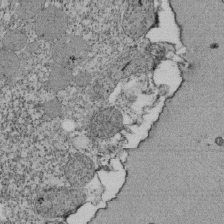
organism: Tetrahymena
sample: Cilia in tetrahymena